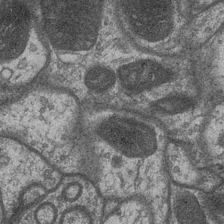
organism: Drosophila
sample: Optic medulla